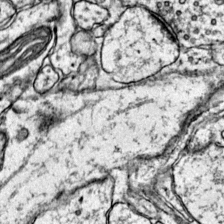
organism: Mouse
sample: Primary visual cortex